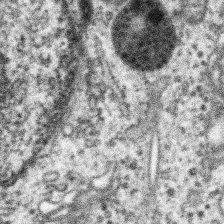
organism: Human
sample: HeLa cells